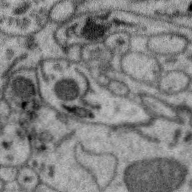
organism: Zebra finch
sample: Brain